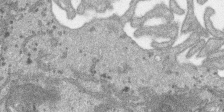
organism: Human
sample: Lung epithelial cells infected with SARS-CoV-2